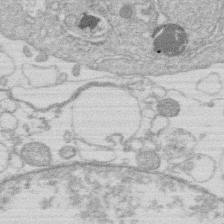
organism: Human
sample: Macrophage cells